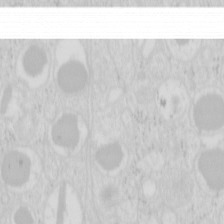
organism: Mouse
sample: Pancreas